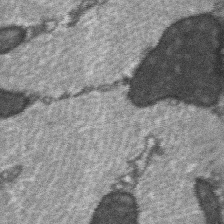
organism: C57BL Mouse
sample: Soleus